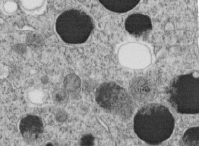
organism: C. elegans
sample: C. elegans embryo early stage